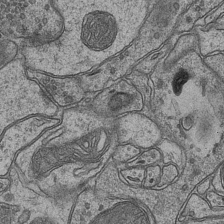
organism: Mouse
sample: CA1 Hippocampus